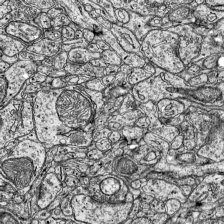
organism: Mouse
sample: Visual Cortex